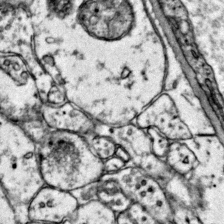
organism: Mouse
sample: Primary visual cortex